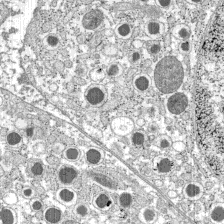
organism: C57BL Mouse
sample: Pancreatic islet